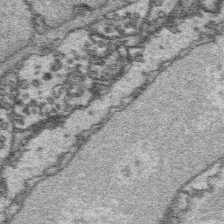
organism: Platynereis dumerilii